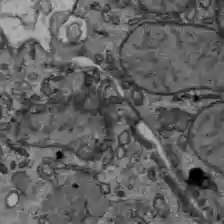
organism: C57BL Mouse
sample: Liver